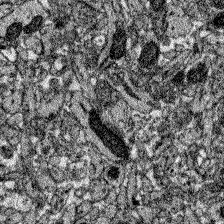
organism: Zebrafish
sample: Larval olfactory bulb